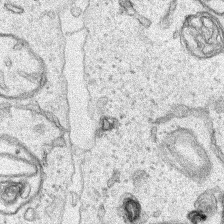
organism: Human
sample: Mitochondria in HCT116 cells